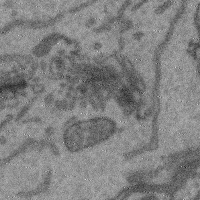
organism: Mouse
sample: Cerebral cortex